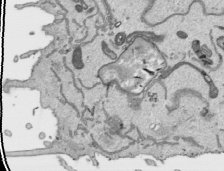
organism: Human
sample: Mitochondria in HCT116 cells